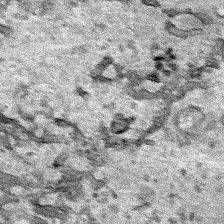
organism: Human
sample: Mitochondria in HCT116 cells